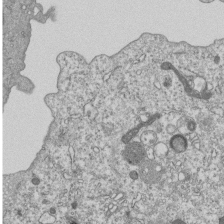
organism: Human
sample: MDA-MB-231 cells